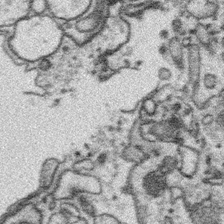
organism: Platynereis dumerilii